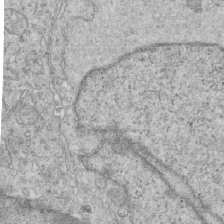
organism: Mouse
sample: Multiciliated cells